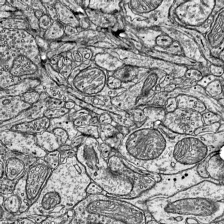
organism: Mouse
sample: Visual Cortex